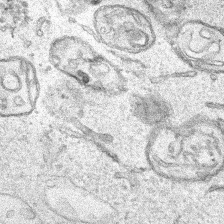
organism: Human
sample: Mitochondria in HCT116 cells